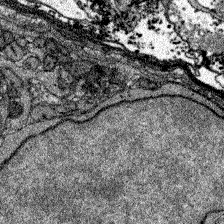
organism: Zebrafish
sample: Larval olfactory bulb